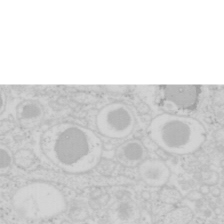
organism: Mouse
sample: Pancreas